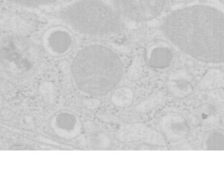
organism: Mouse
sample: Pancreas